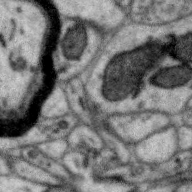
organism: Zebra finch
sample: Brain